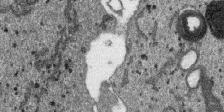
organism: Human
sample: Lung epithelial cells infected with SARS-CoV-2